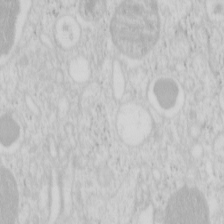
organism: Mouse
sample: Pancreas